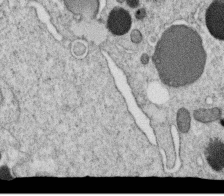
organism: C. elegans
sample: C. elegans oocyte; sperm cells